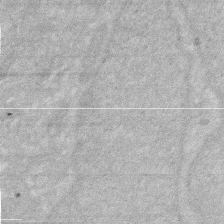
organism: Human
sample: HIV infected U937 cells